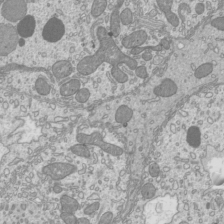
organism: Mouse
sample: Cilia; mouse epididymis